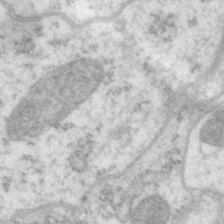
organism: P. pacificus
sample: Pharynx